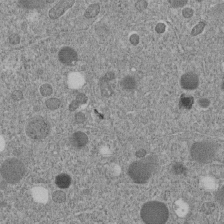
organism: C. elegans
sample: C. elegans embryo early stage